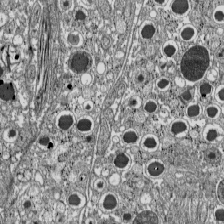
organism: C57BL Mouse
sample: Pancreatic islet